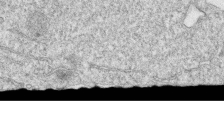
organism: Human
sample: HeLa cell HIV synapse